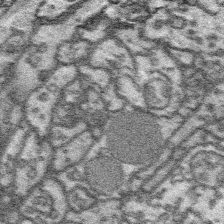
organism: Platynereis dumerilii